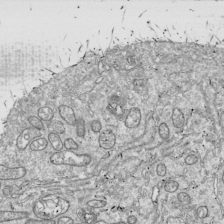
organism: Drosophila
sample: Cell division; meiosis; drosophila spermatocytes